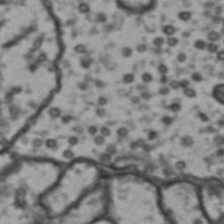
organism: Drosophila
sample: Brain